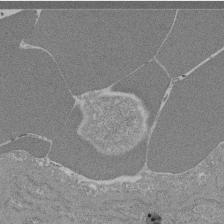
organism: Mouse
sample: Glomerulus